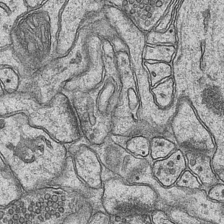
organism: Mouse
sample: CA1 Hippocampus